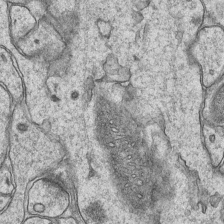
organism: Mouse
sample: CA1 Hippocampus